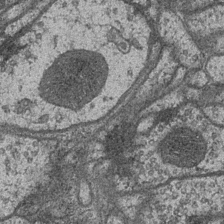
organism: Drosophila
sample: Optic medulla